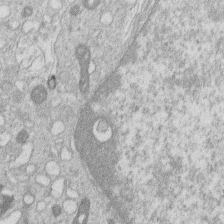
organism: Human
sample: Macrophage cells